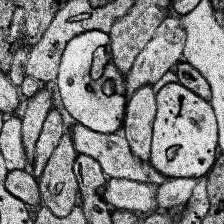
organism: Human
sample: Temporal Lobe